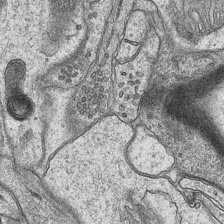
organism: Mouse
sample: CA1 Hippocampus